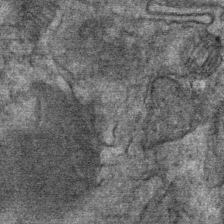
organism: Mouse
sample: Mouse Salivary gland